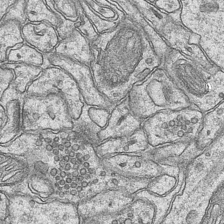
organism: Mouse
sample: CA1 Hippocampus